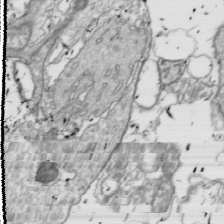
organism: Drosophila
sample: Cell division; meiosis; drosophila spermatocytes